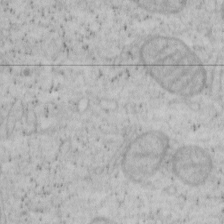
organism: Human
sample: HeLa cells